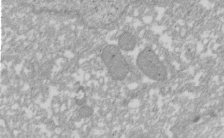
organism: Xenopus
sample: Cilia; centrioles in frog embryo cells